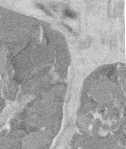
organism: Mouse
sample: T cell stromal cell synapse